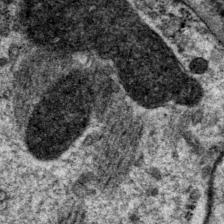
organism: P. pacificus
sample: Pharynx